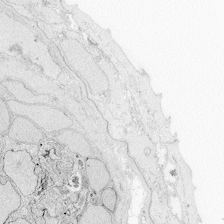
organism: Zebrafish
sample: Whole-Brain